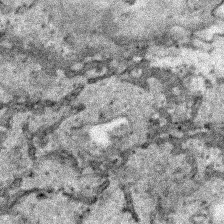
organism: Human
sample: Mitochondria in HCT116 cells